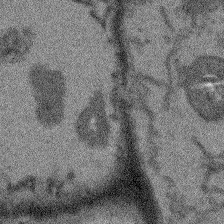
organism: Arabidopsis thaliana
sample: Root tip